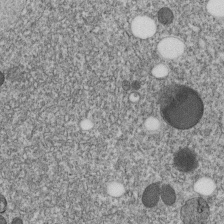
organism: C. elegans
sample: C. elegans embryo early stage